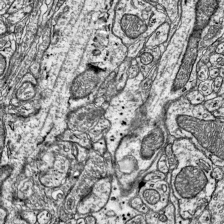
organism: Mouse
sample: Visual Cortex